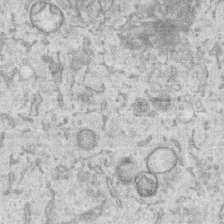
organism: Human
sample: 1205lu cells